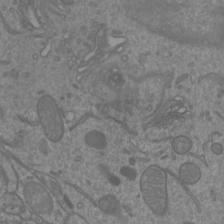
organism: Mouse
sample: Cortical neurons